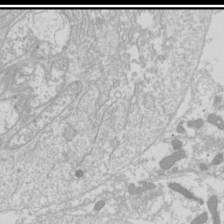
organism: Drosophila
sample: Cell division; meiosis; drosophila spermatocytes